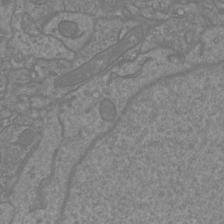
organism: Mouse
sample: Cortical neurons